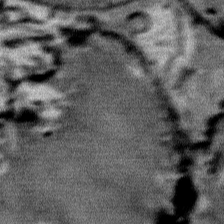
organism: Mouse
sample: Mouse Salivary gland